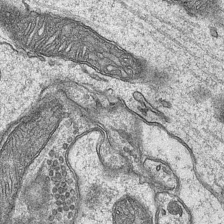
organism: Mouse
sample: CA1 Hippocampus